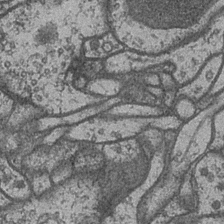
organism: Drosophila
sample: Optic medulla